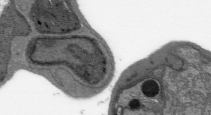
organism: Plasmodium falciparum